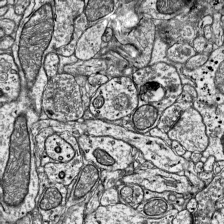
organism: Mouse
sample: Visual Cortex